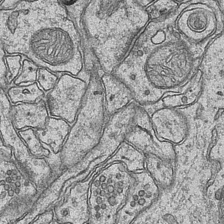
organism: Mouse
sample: CA1 Hippocampus